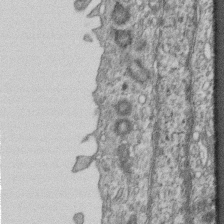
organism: Mouse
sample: Centriole in ependymal cells